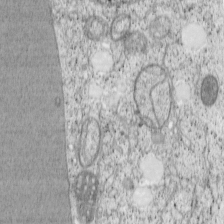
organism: African green monkey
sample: COS-7 cells